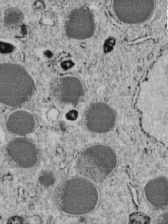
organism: C. elegans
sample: C. elegans embryo early stage